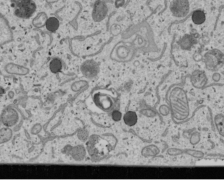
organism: Human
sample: Mitochondria in U2OS cells